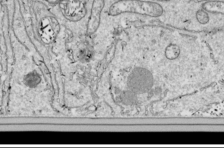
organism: Drosophila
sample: Cell division; meiosis; drosophila spermatocytes